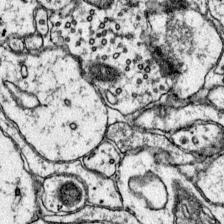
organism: Mouse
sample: Primary visual cortex